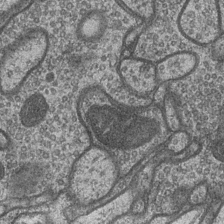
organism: Drosophila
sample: Optic medulla